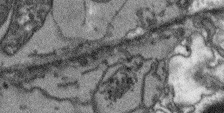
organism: Arabidopsis thaliana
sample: Root tip